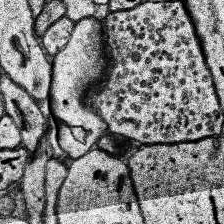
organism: Human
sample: Temporal Lobe